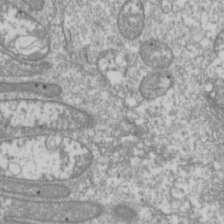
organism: Drosophila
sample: Cell division; meiosis; drosophila spermatocytes